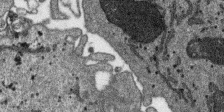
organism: Human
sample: Lung epithelial cells infected with SARS-CoV-2